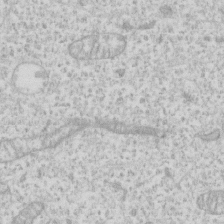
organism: Human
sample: Fibroblast cells